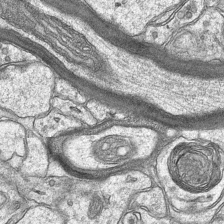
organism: Mouse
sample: CA1 Hippocampus